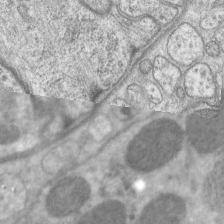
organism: C. elegans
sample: Pharynx